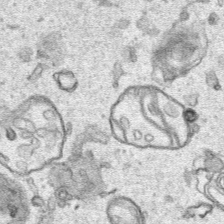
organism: Human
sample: Mitochondria in HCT116 cells